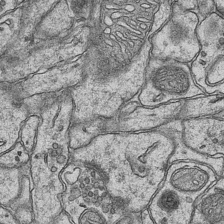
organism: Mouse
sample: CA1 Hippocampus